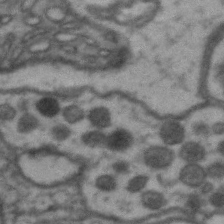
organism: Drosophila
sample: Brain